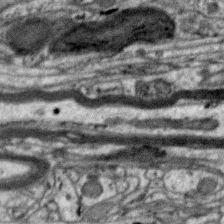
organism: Zebra finch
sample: Brain